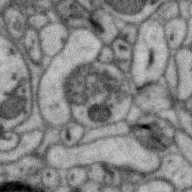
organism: Zebra finch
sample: Brain